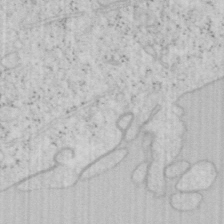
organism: Human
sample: HeLa cells